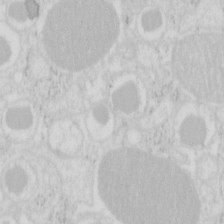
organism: Mouse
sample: Pancreas